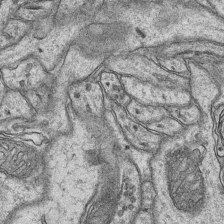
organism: Mouse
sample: CA1 Hippocampus